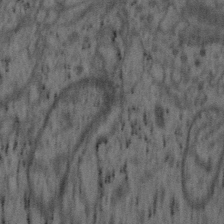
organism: Human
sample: HeLa cells